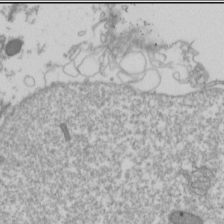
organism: Drosophila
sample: Cell division; meiosis; drosophila spermatocytes